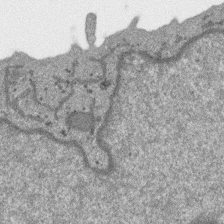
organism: Human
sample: Lung epithelial cells infected with SARS-CoV-2